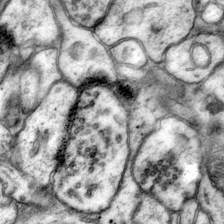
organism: Mouse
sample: Primary visual cortex